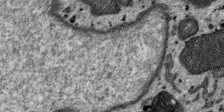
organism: Human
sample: Lung epithelial cells, uninfected (mock) control